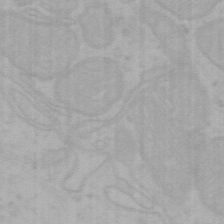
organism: Mouse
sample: Choroid plexus